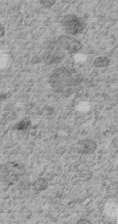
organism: C. elegans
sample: C. elegans embryo early stage